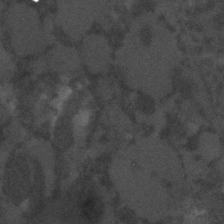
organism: C. elegans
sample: C. elegans embryo